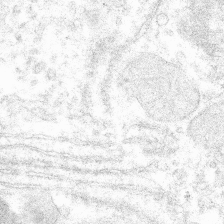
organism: Mouse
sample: Mouse hepatocytes